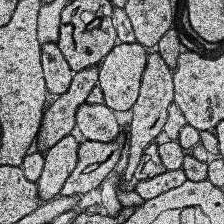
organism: Human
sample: Temporal Lobe